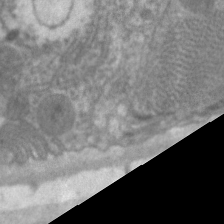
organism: C. elegans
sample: Pharynx